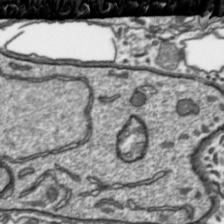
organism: Toxoplasma gondii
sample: Parasites in a vacuole inside a host cell